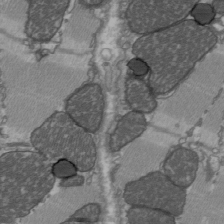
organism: C57BL Mouse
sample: Heart